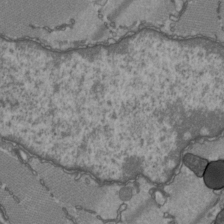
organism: C57BL Mouse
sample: Heart